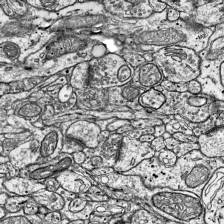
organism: Mouse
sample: Visual Cortex